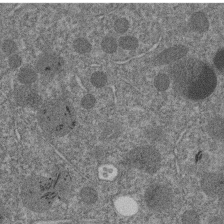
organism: C. elegans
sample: C. elegans embryo early stage